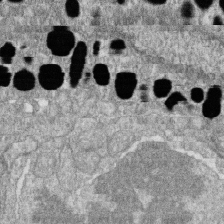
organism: Zebrafish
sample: Cilia; retinal pigment epithelium